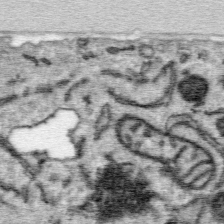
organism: Human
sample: HeLa cells